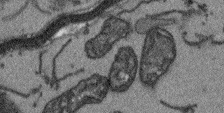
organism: Arabidopsis thaliana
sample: Root tip